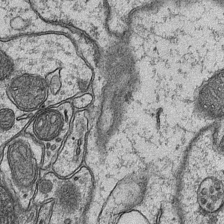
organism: Mouse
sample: CA1 Hippocampus